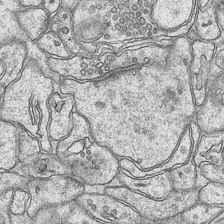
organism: Mouse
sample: CA1 Hippocampus